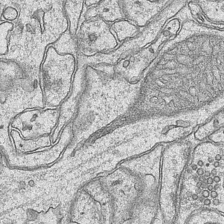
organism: Mouse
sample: CA1 Hippocampus